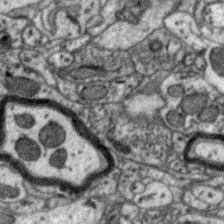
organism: Zebra finch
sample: Brain